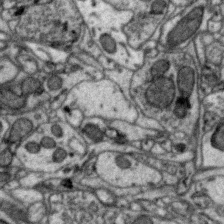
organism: Zebra finch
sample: Brain